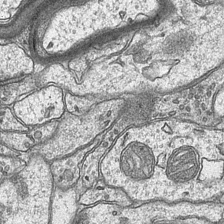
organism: Mouse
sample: CA1 Hippocampus